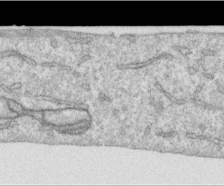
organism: Human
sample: Centriole in RPE cells